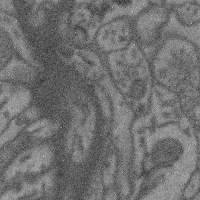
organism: Mouse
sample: Cerebral cortex